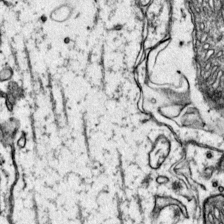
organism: Mouse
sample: Primary visual cortex